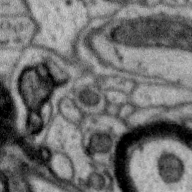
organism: Zebra finch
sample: Brain